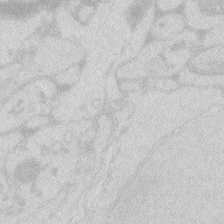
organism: Zebrafish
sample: Macrophage